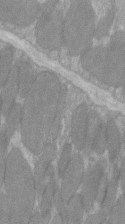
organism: C57BL Mouse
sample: Tibialis anterior muscle cell